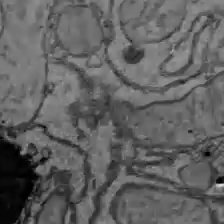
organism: C57BL Mouse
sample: Liver